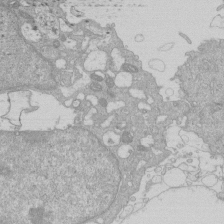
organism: Human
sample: Macrophage cells